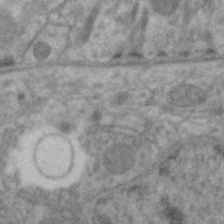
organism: C. elegans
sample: Pharynx